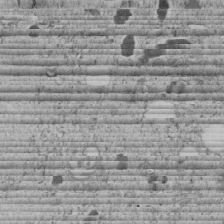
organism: C. elegans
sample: C. elegans embryo early stage